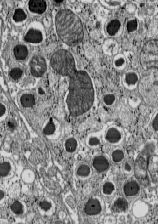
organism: C57BL Mouse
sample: Pancreatic islet